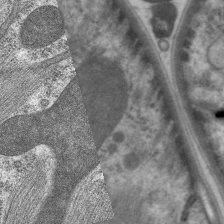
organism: C. elegans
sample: Pharynx